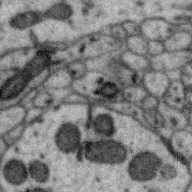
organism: Zebra finch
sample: Brain